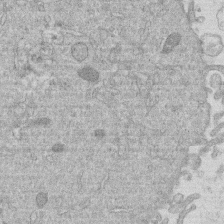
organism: Human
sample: Macrophage cells